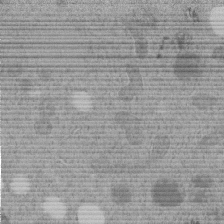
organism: C. elegans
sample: C. elegans embryo early stage